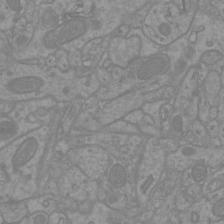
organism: Mouse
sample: Cortical neurons